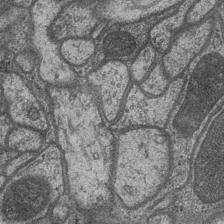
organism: Drosophila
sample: Optic medulla